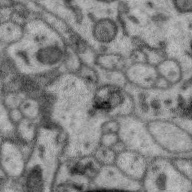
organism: Zebra finch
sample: Brain